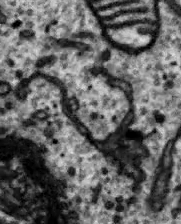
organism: Human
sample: HeLa cells